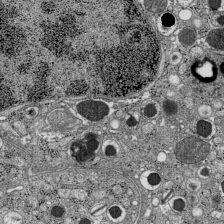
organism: C57BL Mouse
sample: Pancreatic islet